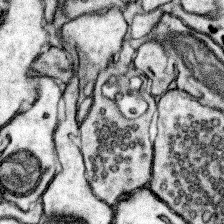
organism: Mouse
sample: Somatosensory cortex neuropil